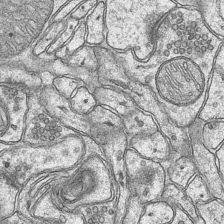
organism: Mouse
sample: CA1 Hippocampus